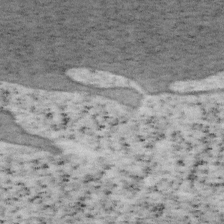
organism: Mouse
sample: OT-I killer T cells with ID8 ovarian cancer cells